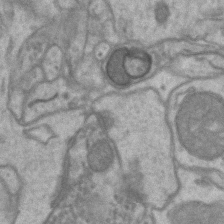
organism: Mouse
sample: CA1 Hippocampus